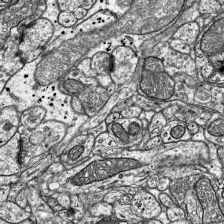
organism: Mouse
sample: Visual Cortex